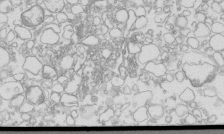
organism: Mouse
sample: Macrophages